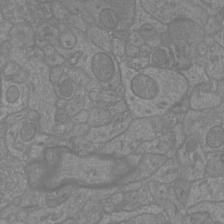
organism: Mouse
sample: Cortical neurons